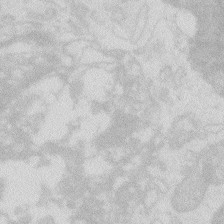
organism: Zebrafish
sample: Macrophage